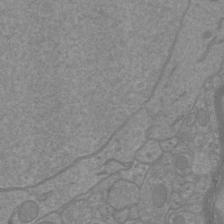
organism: Mouse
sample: Cortical neurons